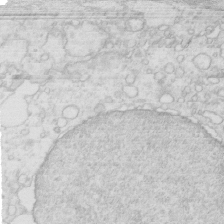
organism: Mouse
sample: Multiciliated cells